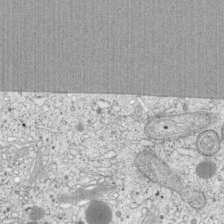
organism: African green monkey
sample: COS-7 cells